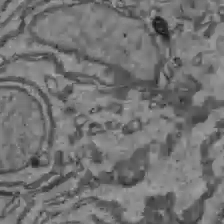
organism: C57BL Mouse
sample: Liver